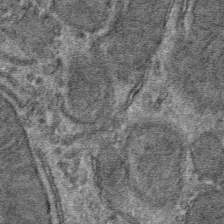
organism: Mouse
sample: Mouse hepatocytes